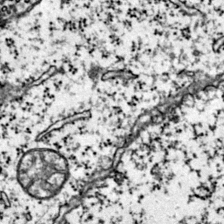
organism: Mouse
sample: Primary visual cortex